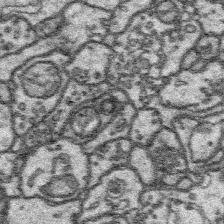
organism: Platynereis dumerilii